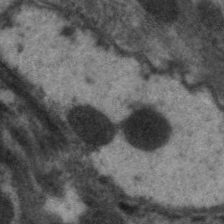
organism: C. elegans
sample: Pharynx